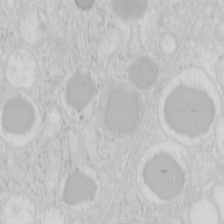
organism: Mouse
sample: Pancreas